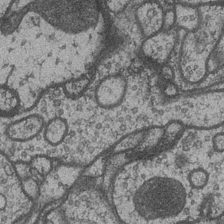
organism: Drosophila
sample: Optic medulla